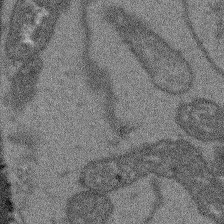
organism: Arabidopsis thaliana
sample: Root tip